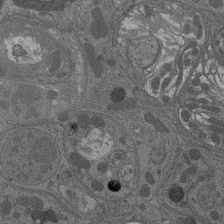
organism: Drosophila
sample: Antenna